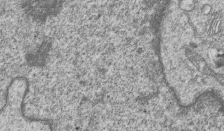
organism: Human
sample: MDA-MB-231 cells